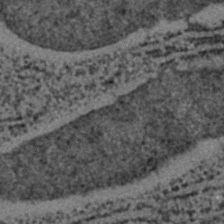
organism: C. elegans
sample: C. elegans embryo